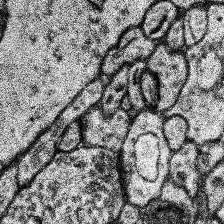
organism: Human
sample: Temporal Lobe